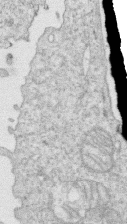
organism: Human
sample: HeLa cell HIV synapse